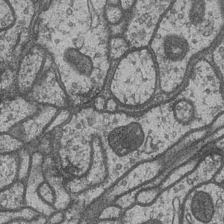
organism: Drosophila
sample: Optic medulla